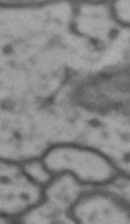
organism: Drosophila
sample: Brain